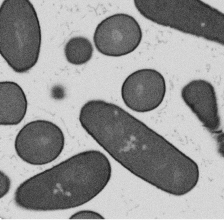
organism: B. subtilis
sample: Bacterial spore